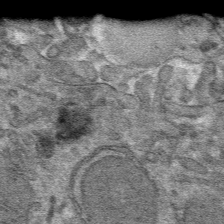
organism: Mouse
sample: Mouse hepatocytes